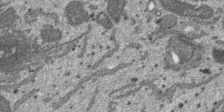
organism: Human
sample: Lung epithelial cells infected with SARS-CoV-2